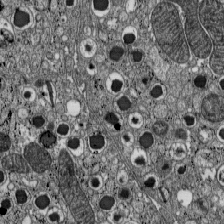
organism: C57BL Mouse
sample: Pancreatic islet